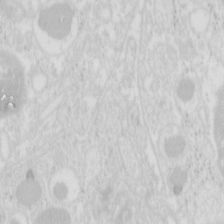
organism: Mouse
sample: Pancreas